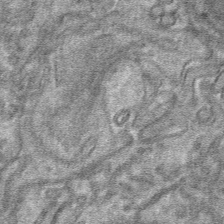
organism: Mouse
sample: Mouse hepatocytes